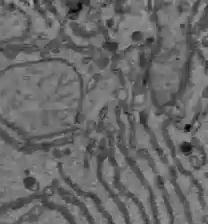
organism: C57BL Mouse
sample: Liver